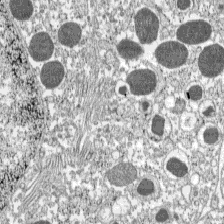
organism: C57BL Mouse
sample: Pancreatic islet